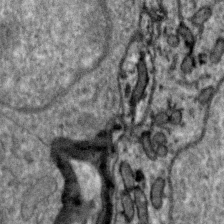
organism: Zebra finch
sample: Brain